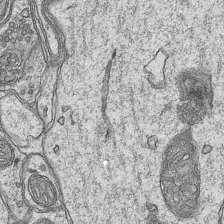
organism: Mouse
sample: CA1 Hippocampus